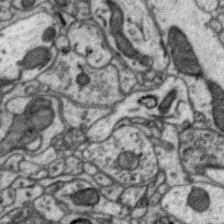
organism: Zebra finch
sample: Brain